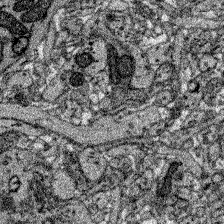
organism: Zebrafish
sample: Larval olfactory bulb